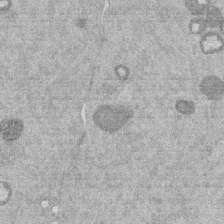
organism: Mouse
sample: Dividing mouse embryo 1 cell stage